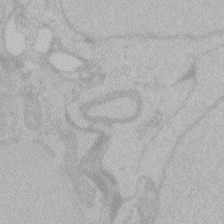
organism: Zebrafish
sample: Macrophage infected with Toxoplasma gondii